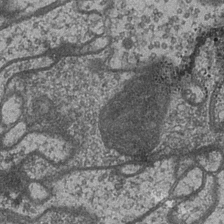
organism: Drosophila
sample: Optic medulla